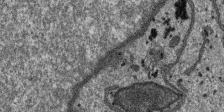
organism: Human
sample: Lung epithelial cells infected with SARS-CoV-2